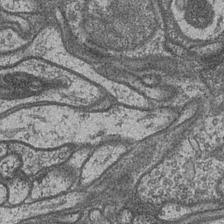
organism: Drosophila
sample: Optic medulla